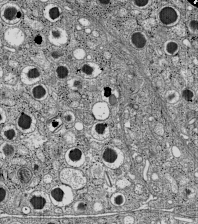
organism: C57BL Mouse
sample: Pancreatic islet